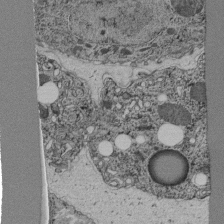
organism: C. elegans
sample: C. elegans pharynx